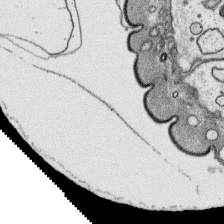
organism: Platynereis dumerilii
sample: Parapodia